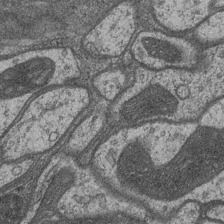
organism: Drosophila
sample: Optic medulla